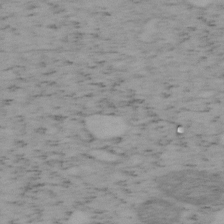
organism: Mouse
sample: OT-I killer T cells with ID8 ovarian cancer cells